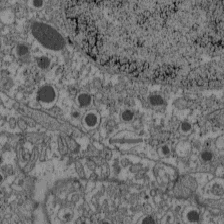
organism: C57BL Mouse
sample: Pancreatic islet